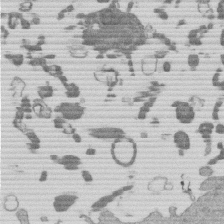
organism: Mouse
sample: Dividing mouse embryo 1 cell stage